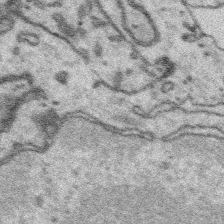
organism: Platynereis dumerilii